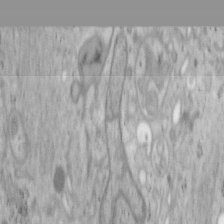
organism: Human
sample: HeLa cells